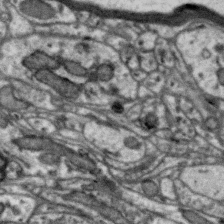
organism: Zebra finch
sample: Brain